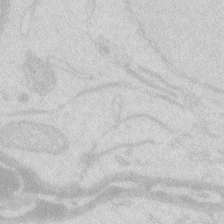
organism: Zebrafish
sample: Macrophage